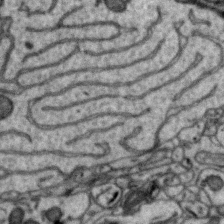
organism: Zebra finch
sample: Brain